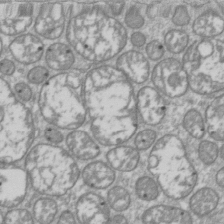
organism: Drosophila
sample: Cell division; meiosis; drosophila spermatocytes